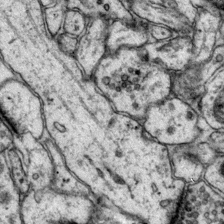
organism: Mouse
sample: Primary visual cortex